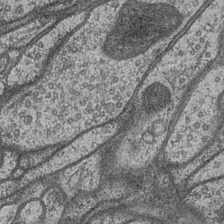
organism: Drosophila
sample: Optic medulla